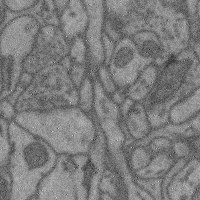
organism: Mouse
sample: Cerebral cortex